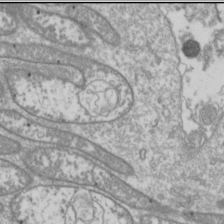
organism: Drosophila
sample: Cell division; meiosis; drosophila spermatocytes